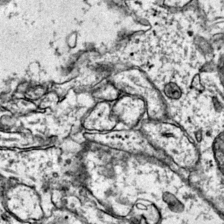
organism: Mouse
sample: Primary visual cortex